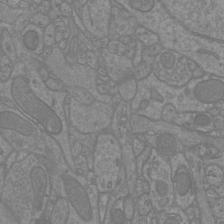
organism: Mouse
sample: Cortical neurons